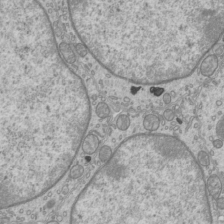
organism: Mouse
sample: Cilia; mouse epididymis